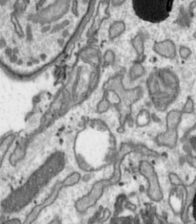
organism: Toxoplasma gondii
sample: Parasites in a vacuole inside a host cell